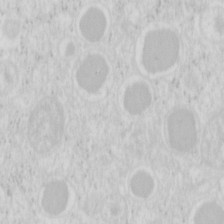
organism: Mouse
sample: Pancreas